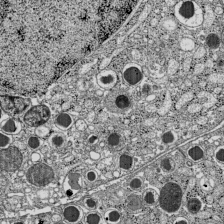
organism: C57BL Mouse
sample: Pancreatic islet